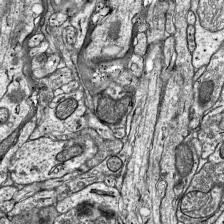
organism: Mouse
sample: Visual Cortex